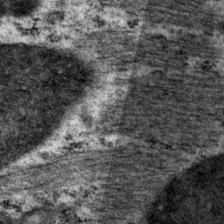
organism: P. pacificus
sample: Pharynx